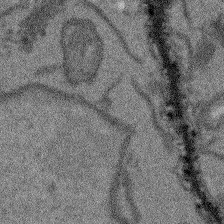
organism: Arabidopsis thaliana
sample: Root tip